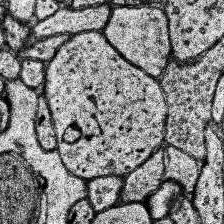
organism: Human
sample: Temporal Lobe